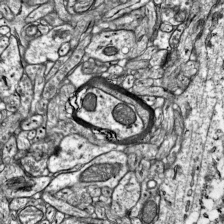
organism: Mouse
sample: Visual Cortex